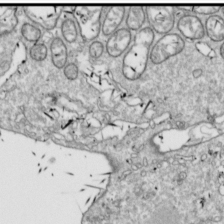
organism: Drosophila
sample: Cell division; meiosis; drosophila spermatocytes